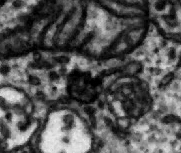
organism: Human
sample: HeLa cells